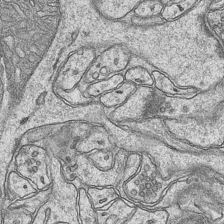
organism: Mouse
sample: CA1 Hippocampus